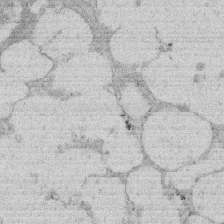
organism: Rat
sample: Salivary granule